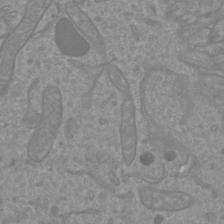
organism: Mouse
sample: Cortical neurons